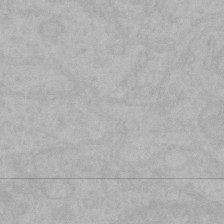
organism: Mouse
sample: Choroid plexus